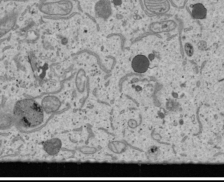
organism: Human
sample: Mitochondria in U2OS cells